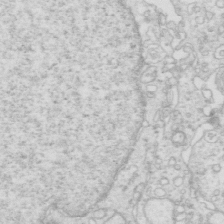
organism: Mouse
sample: Multiciliated cells